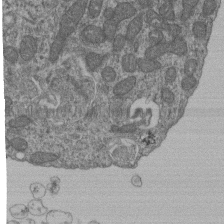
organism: Human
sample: Retinal organoid Rod and Cone cells